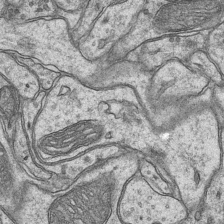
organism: Mouse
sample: CA1 Hippocampus